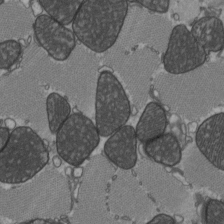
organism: C57BL Mouse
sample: Heart